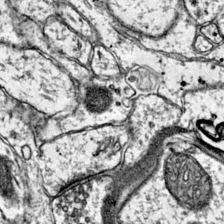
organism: Mouse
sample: Primary visual cortex